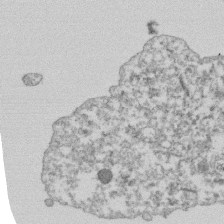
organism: Dictyostelium discoideum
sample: Dictyostelium multivesicular bodies